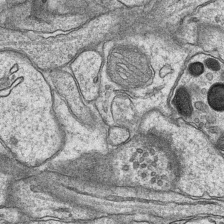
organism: Mouse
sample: CA1 Hippocampus